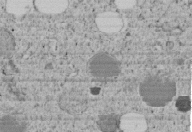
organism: C. elegans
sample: C. elegans embryo early stage